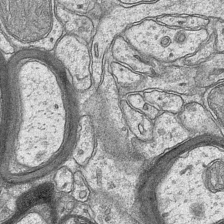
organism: Mouse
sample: CA1 Hippocampus